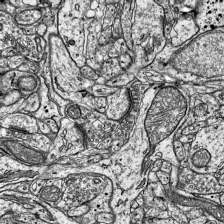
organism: Mouse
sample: Visual Cortex